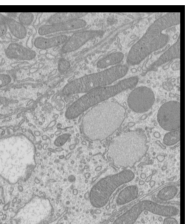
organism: Mouse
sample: Cilia; mouse epididymis